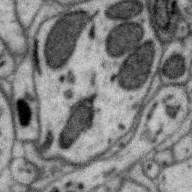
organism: Zebra finch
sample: Brain